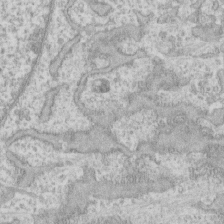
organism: Human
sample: CRL-1474